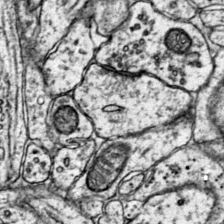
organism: Mouse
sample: Primary visual cortex